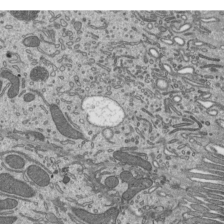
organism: Mouse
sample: Mouse epididymis efferent ductule cilia